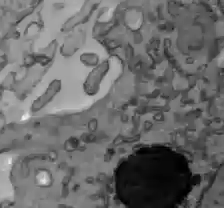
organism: C57BL Mouse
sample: Liver